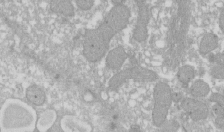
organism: Xenopus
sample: Cilia; centrioles in frog embryo cells